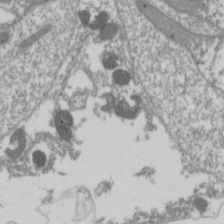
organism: Drosophila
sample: Cell division; meiosis; drosophila spermatocytes